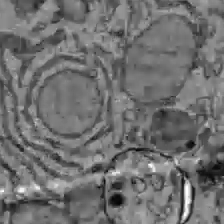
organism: C57BL Mouse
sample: Liver